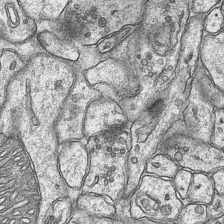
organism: Mouse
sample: CA1 Hippocampus